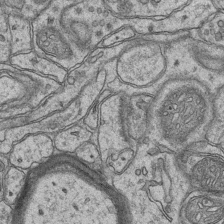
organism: Mouse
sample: CA1 Hippocampus